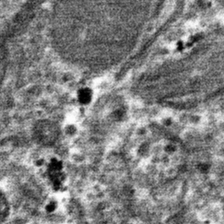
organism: Mouse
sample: Mouse hepatocytes